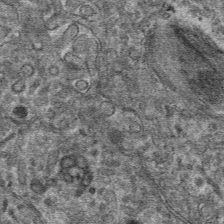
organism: Mouse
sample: Mouse hepatocytes